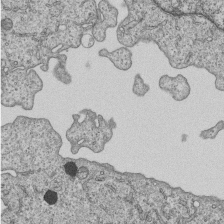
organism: Human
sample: MDA-MB-231 cells